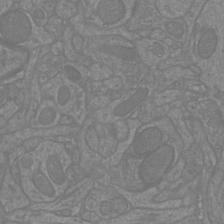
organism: Mouse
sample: Cortical neurons